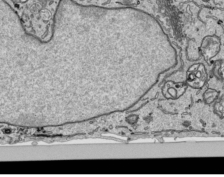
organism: Human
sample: Mitochondria in HCT116 cells